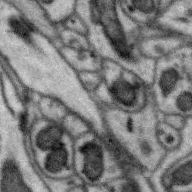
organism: Zebra finch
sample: Brain